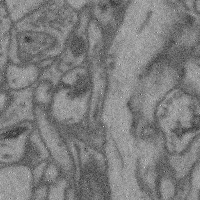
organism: Mouse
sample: Cerebral cortex